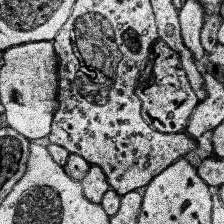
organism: Human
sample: Temporal Lobe